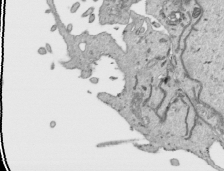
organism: Human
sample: Mitochondria in HCT116 cells